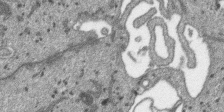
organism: Human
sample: Lung epithelial cells infected with SARS-CoV-2